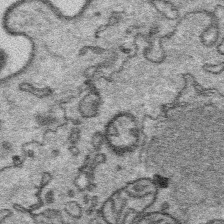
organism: Platynereis dumerilii